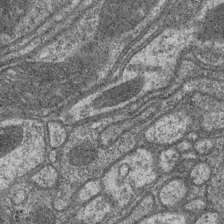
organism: Drosophila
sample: Optic medulla